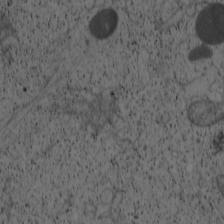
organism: African green monkey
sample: COS-7 cells